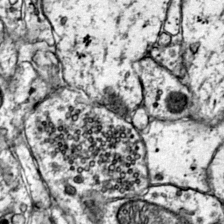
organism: Mouse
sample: Primary visual cortex